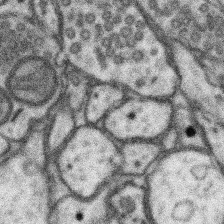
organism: Mouse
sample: Somatosensory cortex neuropil